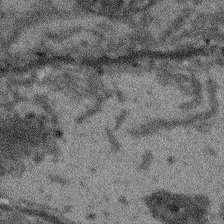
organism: Arabidopsis thaliana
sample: Root tip